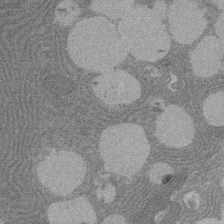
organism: Rat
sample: Salivary granule